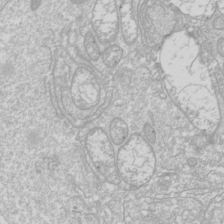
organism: Drosophila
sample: Cell division; meiosis; drosophila spermatocytes